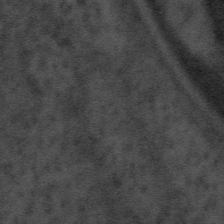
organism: Tuwongella immobilis